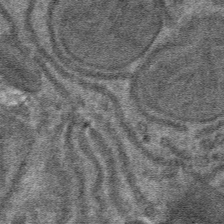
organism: Mouse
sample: Mouse hepatocytes